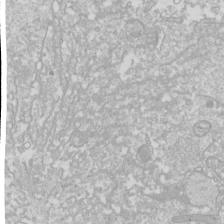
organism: Drosophila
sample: Cell division; meiosis; drosophila spermatocytes